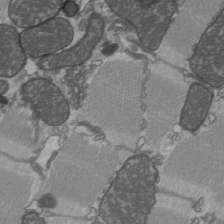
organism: C57BL Mouse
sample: Heart